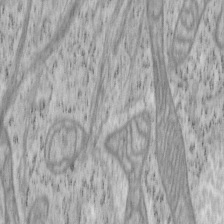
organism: Human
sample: HeLa cells